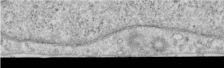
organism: Human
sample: Centriole in RPE cells